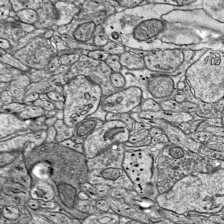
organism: Mouse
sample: Visual Cortex